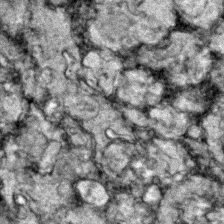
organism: Zebrafish